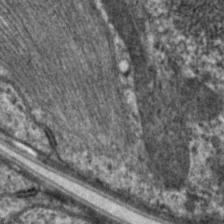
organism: C. elegans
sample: Pharynx